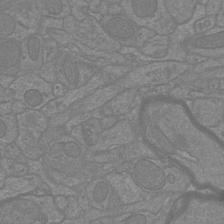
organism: Mouse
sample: Cortical neurons